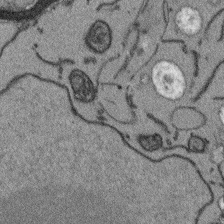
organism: Arabidopsis thaliana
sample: Root tip